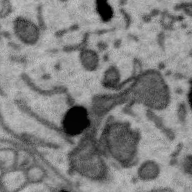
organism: Zebra finch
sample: Brain